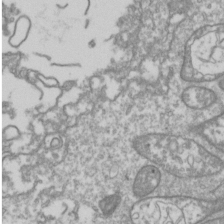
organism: Drosophila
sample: Cell division; meiosis; drosophila spermatocytes